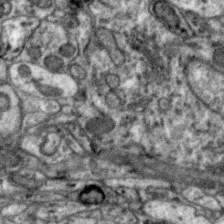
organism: Zebra finch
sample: Brain